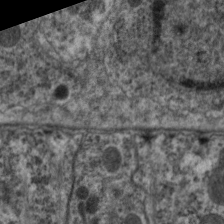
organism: C. elegans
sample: Pharynx